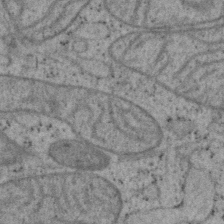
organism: Human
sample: HeLa cells